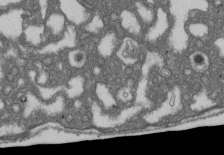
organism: Drosophila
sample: Nephrocyte